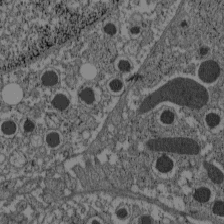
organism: C57BL Mouse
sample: Pancreatic islet